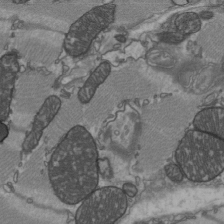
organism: C57BL Mouse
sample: Heart